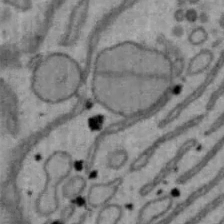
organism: Mouse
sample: Liver